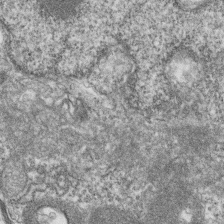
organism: Zebrafish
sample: Cilia; retinal pigment epithelium